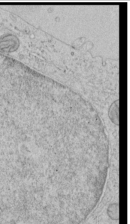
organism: Human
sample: Mitochondria in HCT116 cells